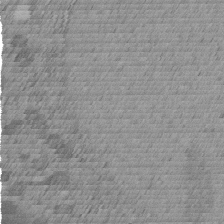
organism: C. elegans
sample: C. elegans embryo early stage